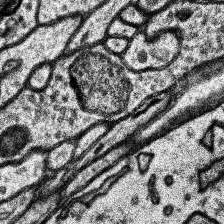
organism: Human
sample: Temporal Lobe